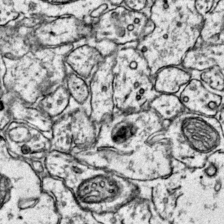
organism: Mouse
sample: Primary visual cortex